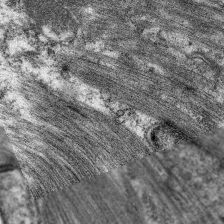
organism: C. elegans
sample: Pharynx